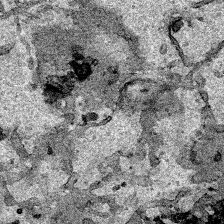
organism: Human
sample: Mitochondria in HCT116 cells